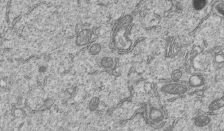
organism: Human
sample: MDA-MB-231 cells